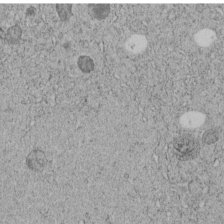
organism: C. elegans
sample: C. elegans embryo early stage